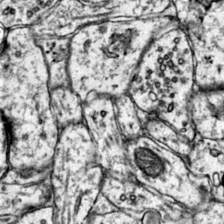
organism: Mouse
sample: Primary visual cortex